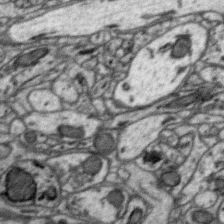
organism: Zebra finch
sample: Brain